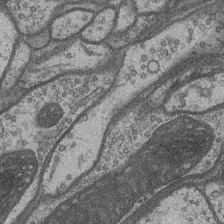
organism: Drosophila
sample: Optic medulla